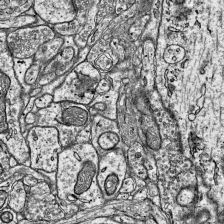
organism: Mouse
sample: Visual Cortex